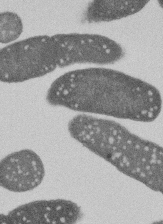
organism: E. coli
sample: Bacterial nucleoid